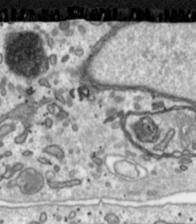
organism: Toxoplasma gondii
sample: Parasites in a vacuole inside a host cell